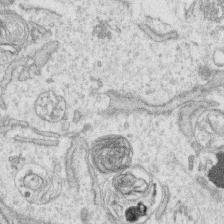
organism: Human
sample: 1205lu cells